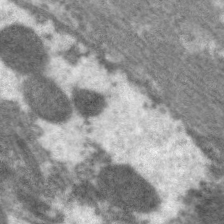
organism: C. elegans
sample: Pharynx